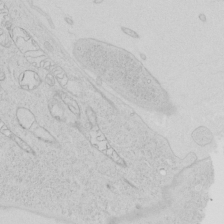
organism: Human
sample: Mitochondria in HCT116 cells